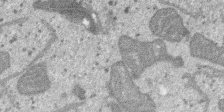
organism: Human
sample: Lung epithelial cells infected with SARS-CoV-2